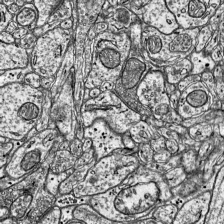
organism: Mouse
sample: Visual Cortex